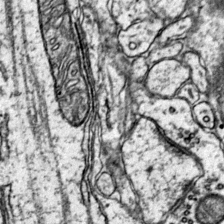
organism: Mouse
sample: Primary visual cortex